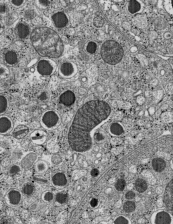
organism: C57BL Mouse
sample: Pancreatic islet